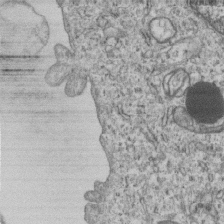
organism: Human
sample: MDA-MB-231 cells